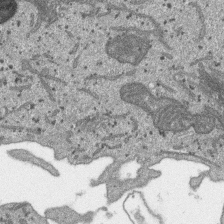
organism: Human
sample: Lung epithelial cells infected with SARS-CoV-2